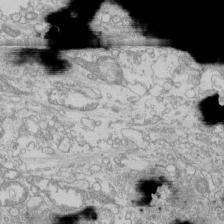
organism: Human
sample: CRL-1474